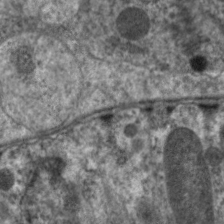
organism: C. elegans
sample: Pharynx